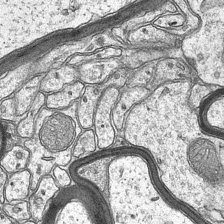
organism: Mouse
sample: CA1 Hippocampus